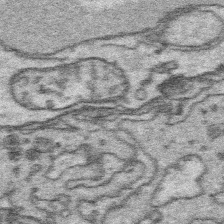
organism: Platynereis dumerilii